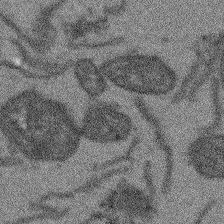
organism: Arabidopsis thaliana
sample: Root tip